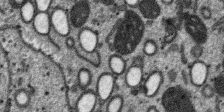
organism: Human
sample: Lung epithelial cells infected with SARS-CoV-2